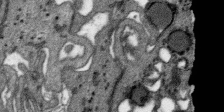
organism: Human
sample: Lung epithelial cells, uninfected (mock) control